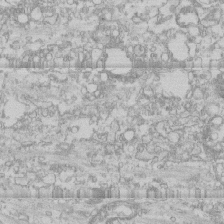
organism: Human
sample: CRL-1474